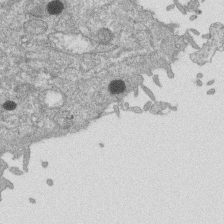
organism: Human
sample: HeLa cell HIV synapse